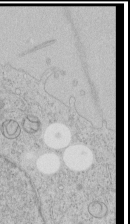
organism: Human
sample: Mitochondria in HCT116 cells